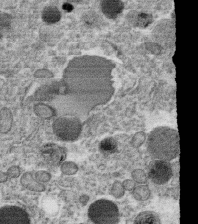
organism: C. elegans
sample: C. elegans oocyte; sperm cells